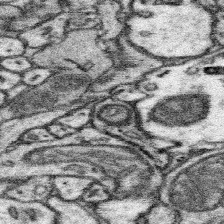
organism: Mouse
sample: Somatosensory cortex neuropil